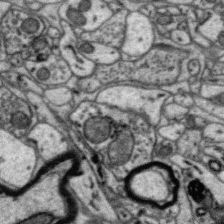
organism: Zebra finch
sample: Brain